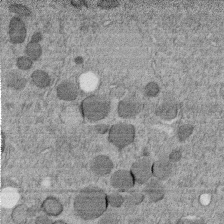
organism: C. elegans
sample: C. elegans embryo early stage